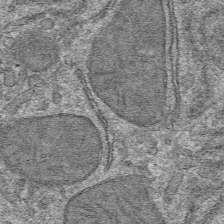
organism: Mouse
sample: Mouse hepatocytes